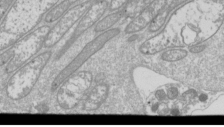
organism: Drosophila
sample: Cell division; meiosis; drosophila spermatocytes